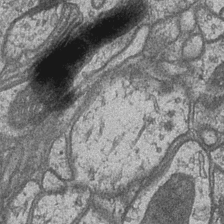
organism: Drosophila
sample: Optic medulla